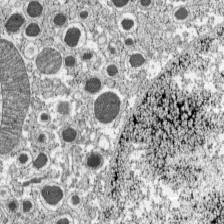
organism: C57BL Mouse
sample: Pancreatic islet